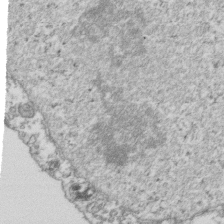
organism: Human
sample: Activated Jurkat CD4+ T cells